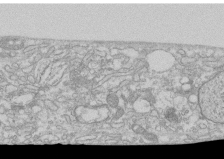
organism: Human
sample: CRL-1474